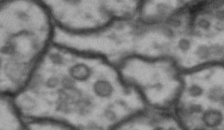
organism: Drosophila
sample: Brain